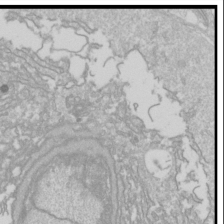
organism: Drosophila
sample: Cell division; meiosis; drosophila spermatocytes